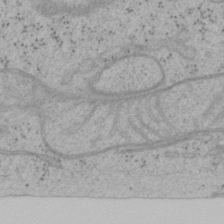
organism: Human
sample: HeLa cells